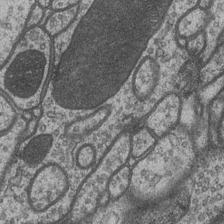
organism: Drosophila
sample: Optic medulla